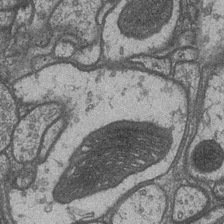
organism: Drosophila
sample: Optic medulla